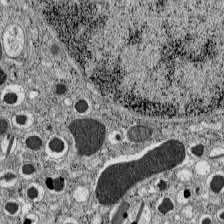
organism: C57BL Mouse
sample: Pancreatic islet